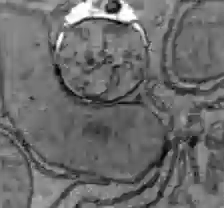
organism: C57BL Mouse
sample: Liver